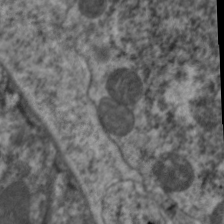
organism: C. elegans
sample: Pharynx